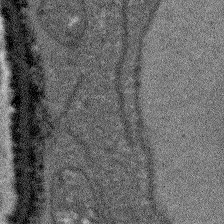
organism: Arabidopsis thaliana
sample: Root tip